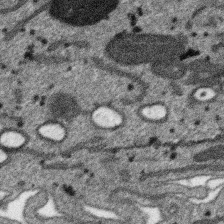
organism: Human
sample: Lung epithelial cells infected with SARS-CoV-2